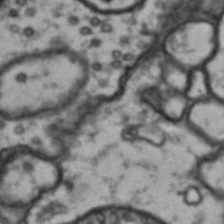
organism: Drosophila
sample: Brain